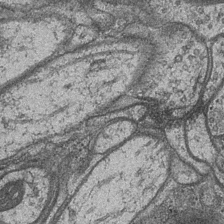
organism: Drosophila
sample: Optic medulla